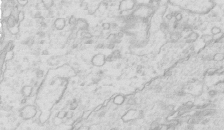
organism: Mouse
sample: Multiciliated cells